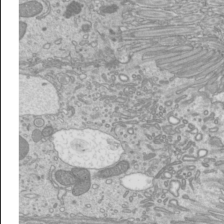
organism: Mouse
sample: Cilia; mouse epididymis